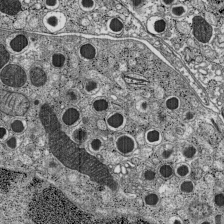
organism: C57BL Mouse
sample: Pancreatic islet